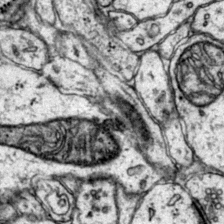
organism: Mouse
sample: Primary visual cortex